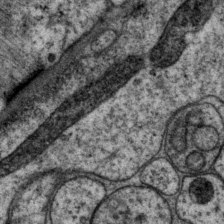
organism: P. pacificus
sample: Pharynx